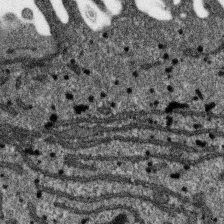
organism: Human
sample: Lung epithelial cells infected with SARS-CoV-2